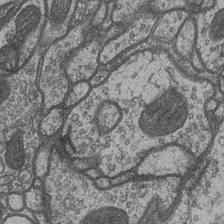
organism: Drosophila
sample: Optic medulla